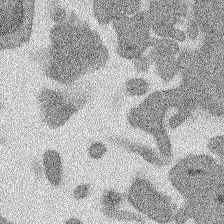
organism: Human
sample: HeLa cells